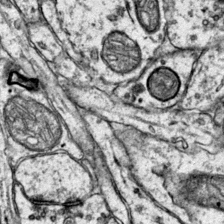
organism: Mouse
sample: Primary visual cortex